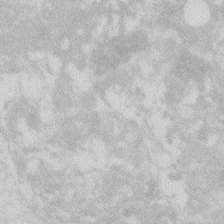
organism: Zebrafish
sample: Macrophage